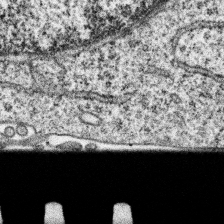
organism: Human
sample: HeLa cells